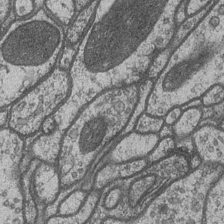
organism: Drosophila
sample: Optic medulla